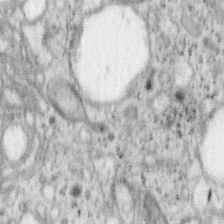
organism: Mouse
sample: OT-I killer T cells with ID8 ovarian cancer cells